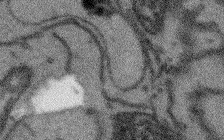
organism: Arabidopsis thaliana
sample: Root tip